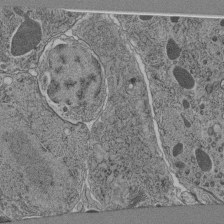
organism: C. elegans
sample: C. elegans pharynx